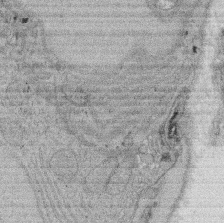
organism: Rat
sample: Salivary granule